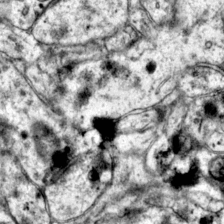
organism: Mouse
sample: Primary visual cortex